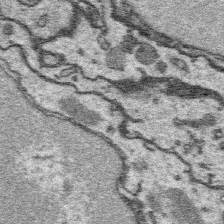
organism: Platynereis dumerilii